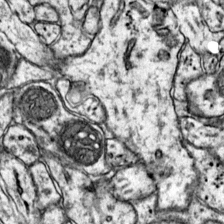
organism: Mouse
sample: Primary visual cortex